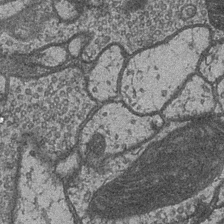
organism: Drosophila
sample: Optic medulla